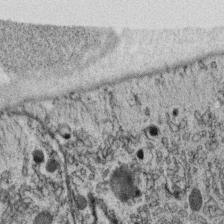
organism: C. elegans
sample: C. elegans oocyte; sperm cells